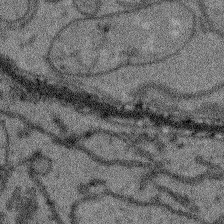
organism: Arabidopsis thaliana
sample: Root tip